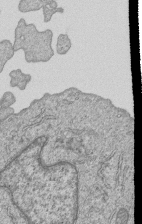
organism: Human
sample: MDA-MB-231 cells